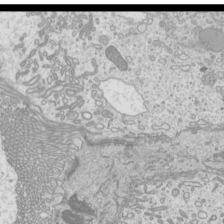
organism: Mouse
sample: Cilia; mouse epididymis